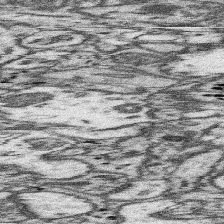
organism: Mouse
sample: Somatosensory cortex neuropil